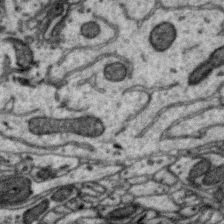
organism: Zebra finch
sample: Brain